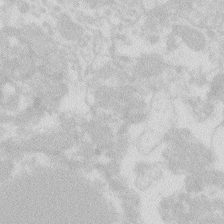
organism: Zebrafish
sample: Macrophage